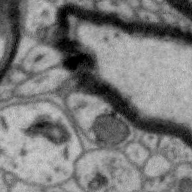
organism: Zebra finch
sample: Brain